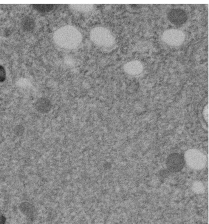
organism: C. elegans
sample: C. elegans embryo early stage